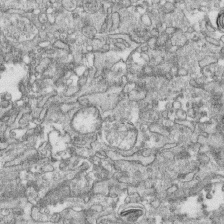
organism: Human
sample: CRL-1474